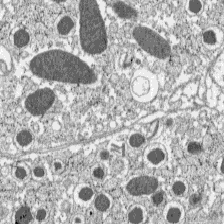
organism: C57BL Mouse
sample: Pancreatic islet